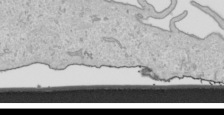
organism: Human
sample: Mitochondria in HCT116 cells